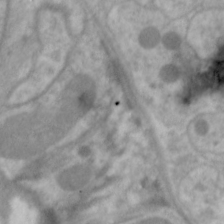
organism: C. elegans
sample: Pharynx